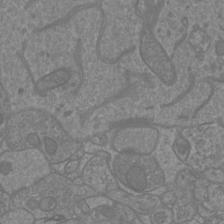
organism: Mouse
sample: Cortical neurons